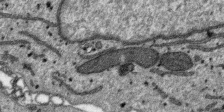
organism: Human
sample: Lung epithelial cells, uninfected (mock) control